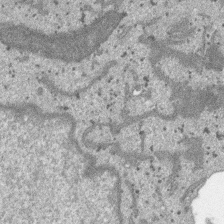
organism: Human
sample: Lung epithelial cells infected with SARS-CoV-2